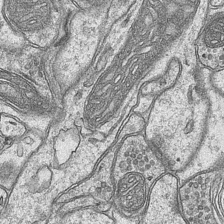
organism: Mouse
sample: CA1 Hippocampus